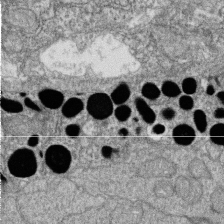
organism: Zebrafish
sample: Cilia; retinal pigment epithelium